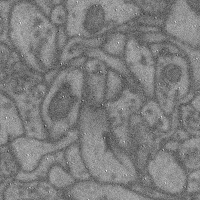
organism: Mouse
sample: Cerebral cortex